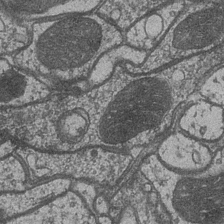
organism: Drosophila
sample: Optic medulla